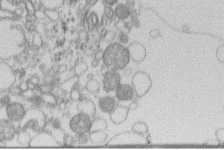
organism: Human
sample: Macrophage cells